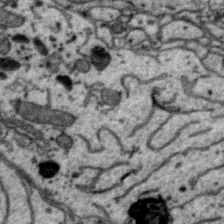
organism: Zebra finch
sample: Brain